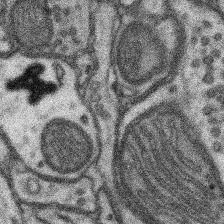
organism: Mouse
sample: Somatosensory cortex neuropil